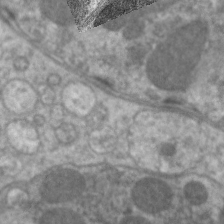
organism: C. elegans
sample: Pharynx